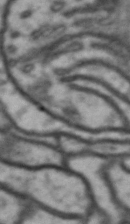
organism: Drosophila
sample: Brain